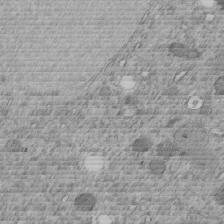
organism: C. elegans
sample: C. elegans embryo early stage